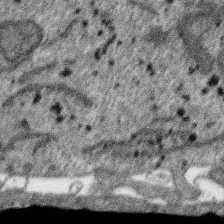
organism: Human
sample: Lung epithelial cells infected with SARS-CoV-2